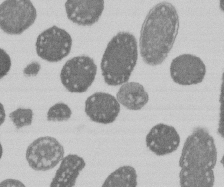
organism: E. coli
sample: Bacterial nucleoid